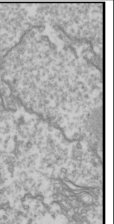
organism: Drosophila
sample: Cell division; meiosis; drosophila spermatocytes